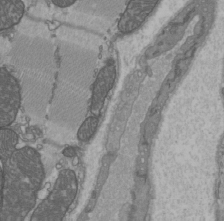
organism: C57BL Mouse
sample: Heart